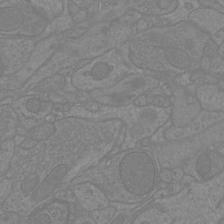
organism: Mouse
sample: Cortical neurons